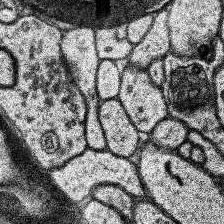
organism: Human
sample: Temporal Lobe